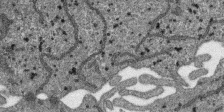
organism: Human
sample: Lung epithelial cells infected with SARS-CoV-2